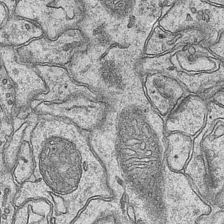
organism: Mouse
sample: CA1 Hippocampus